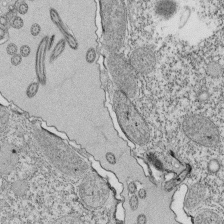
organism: Tetrahymena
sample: Cilia in tetrahymena